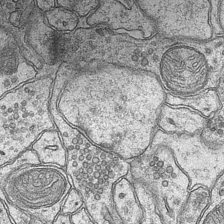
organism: Mouse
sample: CA1 Hippocampus